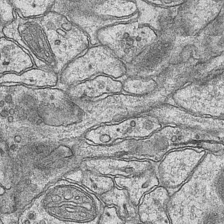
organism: Mouse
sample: CA1 Hippocampus